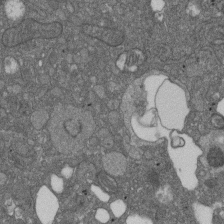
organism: Drosophila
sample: Nephrocyte